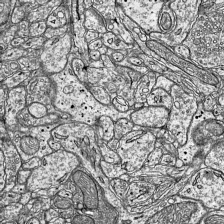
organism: Mouse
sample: Visual Cortex